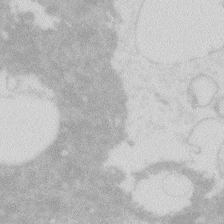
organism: Zebrafish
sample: Macrophage